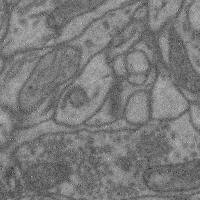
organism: Mouse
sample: Cerebral cortex